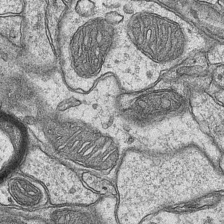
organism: Mouse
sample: CA1 Hippocampus